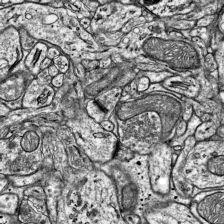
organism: Mouse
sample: Visual Cortex